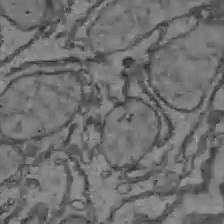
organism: C57BL Mouse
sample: Liver